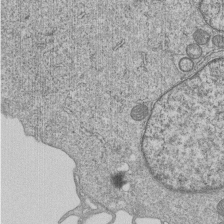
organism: Human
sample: MDA-MB-231 cells